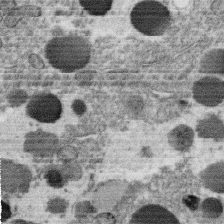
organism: C. elegans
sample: C. elegans oocyte; sperm cells